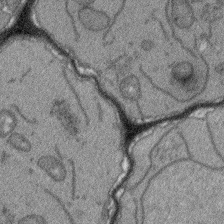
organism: Arabidopsis thaliana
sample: Root tip